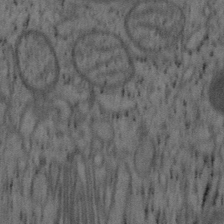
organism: Human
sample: HeLa cells